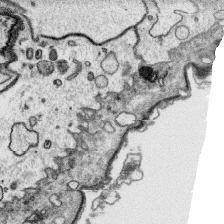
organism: Platynereis dumerilii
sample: Parapodia